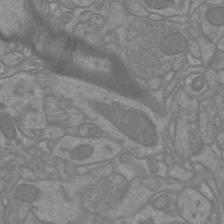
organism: Mouse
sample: Cortical neurons